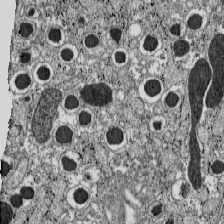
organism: C57BL Mouse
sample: Pancreatic islet